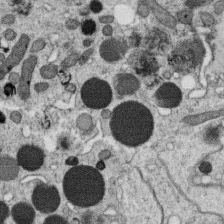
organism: C. elegans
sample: C. elegans oocyte; sperm cells